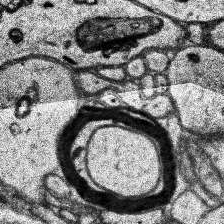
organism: Human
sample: Temporal Lobe